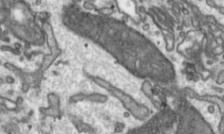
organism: Toxoplasma gondii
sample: Parasites in a vacuole inside a host cell